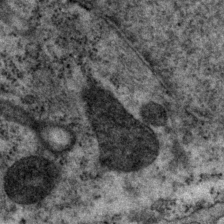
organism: P. pacificus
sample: Pharynx